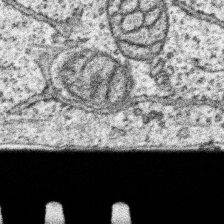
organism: Human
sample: HeLa cells